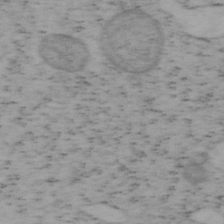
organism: Mouse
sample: OT-I killer T cells with ID8 ovarian cancer cells